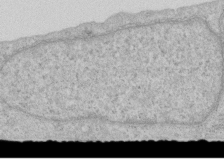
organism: Human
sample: Centriole in RPE cells